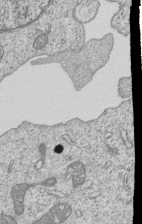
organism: Human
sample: MDA-MB-231 cells